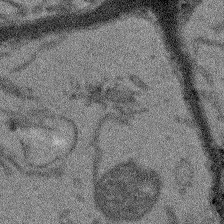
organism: Arabidopsis thaliana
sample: Root tip